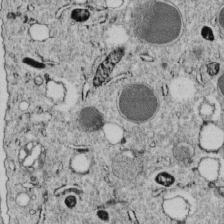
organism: C. elegans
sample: C. elegans embryo early stage